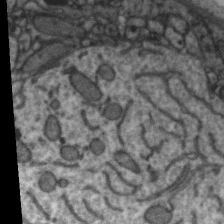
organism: Zebra finch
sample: Brain